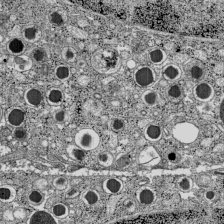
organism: C57BL Mouse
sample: Pancreatic islet